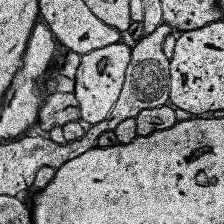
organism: Human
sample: Temporal Lobe